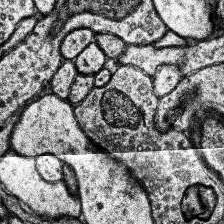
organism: Human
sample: Temporal Lobe